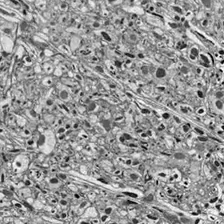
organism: Drosophila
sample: Optic lobe